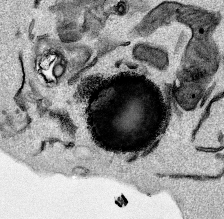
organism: Mouse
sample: Cancer cell death in ED-1 cells